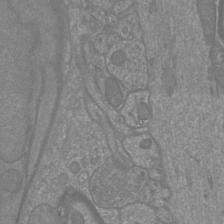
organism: Mouse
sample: Cortical neurons